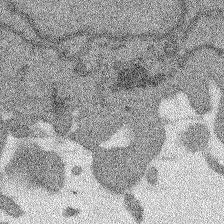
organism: Human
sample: HeLa cells